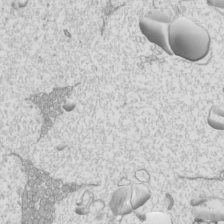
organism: Mouse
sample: Cilia; mouse epididymis